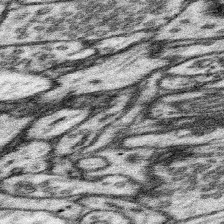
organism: Mouse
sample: Somatosensory cortex neuropil